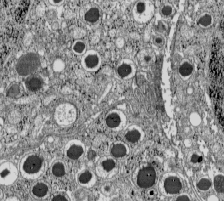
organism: C57BL Mouse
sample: Pancreatic islet